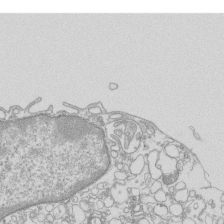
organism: Mouse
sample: Macrophages